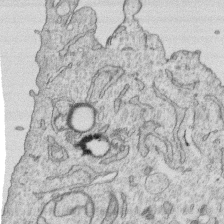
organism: Human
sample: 1205lu cells